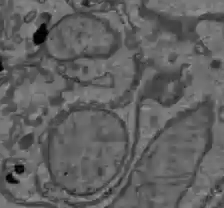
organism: C57BL Mouse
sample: Liver